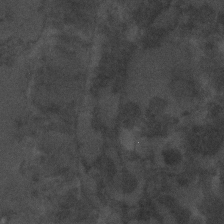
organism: C. elegans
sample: C. elegans embryo